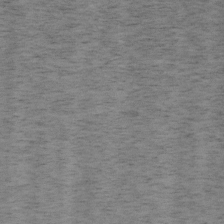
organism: Mouse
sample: OT-I killer T cells with ID8 ovarian cancer cells